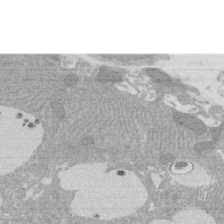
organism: Rat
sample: Salivary granule